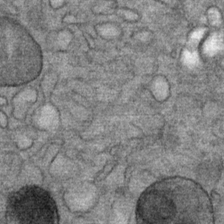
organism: Mouse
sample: Mouse Salivary gland